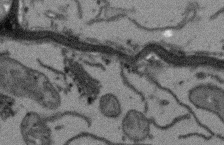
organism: Arabidopsis thaliana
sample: Root tip